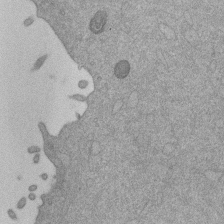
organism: Mouse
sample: Dividing mouse embryo 1 cell stage